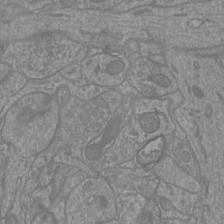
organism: Mouse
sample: Cortical neurons